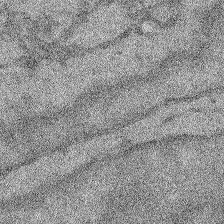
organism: Human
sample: HeLa cells